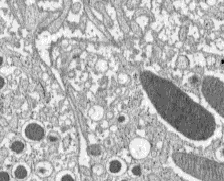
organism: C57BL Mouse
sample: Pancreatic islet